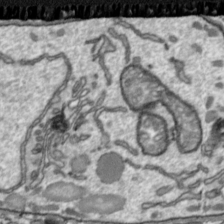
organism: Toxoplasma gondii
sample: Parasites in a vacuole inside a host cell